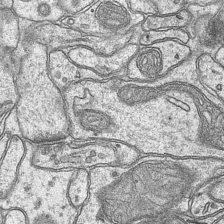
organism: Mouse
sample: CA1 Hippocampus